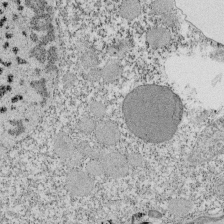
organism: Tetrahymena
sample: Cilia in tetrahymena